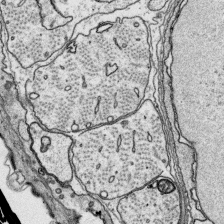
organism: Platynereis dumerilii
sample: Parapodia